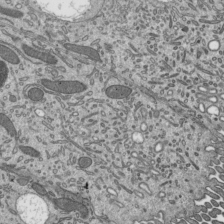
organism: Mouse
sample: Mouse epididymis efferent ductule cilia